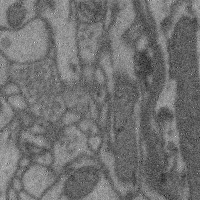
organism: Mouse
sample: Cerebral cortex